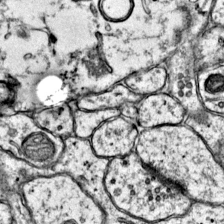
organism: Mouse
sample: Primary visual cortex